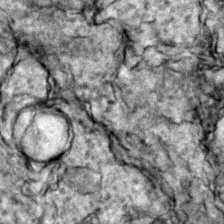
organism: Zebrafish